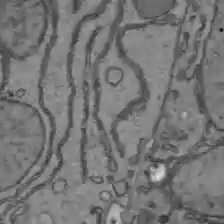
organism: C57BL Mouse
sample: Liver